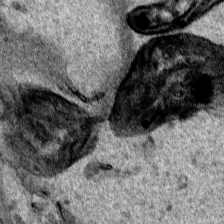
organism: Human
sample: Mitochondria in HCT116 cells